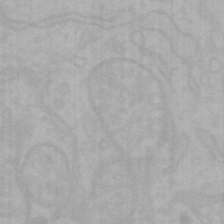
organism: Mouse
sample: Choroid plexus